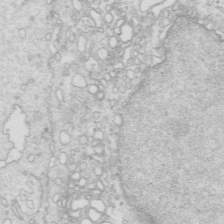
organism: Mouse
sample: Multiciliated cells